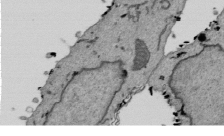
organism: Mouse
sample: ED-1 cell nuclei; centrioles